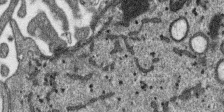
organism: Human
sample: Lung epithelial cells infected with SARS-CoV-2